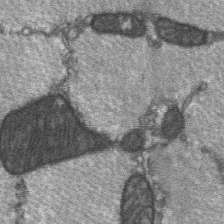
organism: C57BL Mouse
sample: Soleus